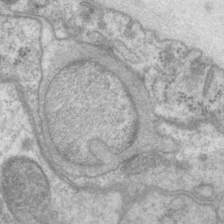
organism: P. pacificus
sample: Pharynx